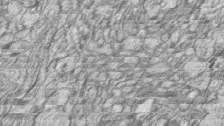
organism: Zebrafish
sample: synaptic ribbons in rod cells and cone cells